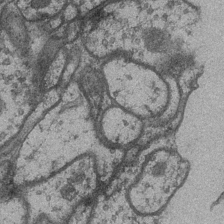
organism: Drosophila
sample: Optic medulla